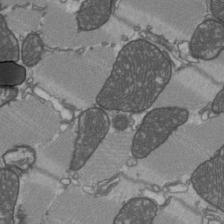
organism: C57BL Mouse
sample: Heart